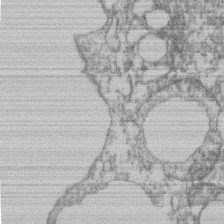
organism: Mouse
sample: T cell stromal cell synapse